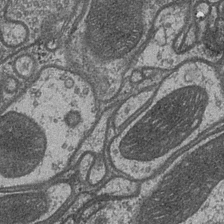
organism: Drosophila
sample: Optic medulla